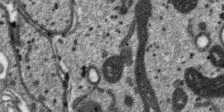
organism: Human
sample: Lung epithelial cells infected with SARS-CoV-2